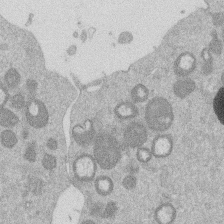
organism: Mouse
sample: Dividing mouse embryo 1 cell stage